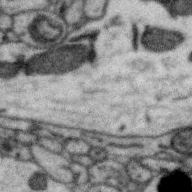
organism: Zebra finch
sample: Brain